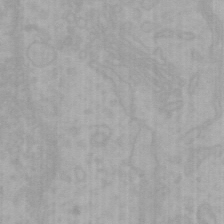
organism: Mouse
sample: Choroid plexus